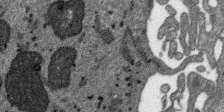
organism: Human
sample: Lung epithelial cells infected with SARS-CoV-2